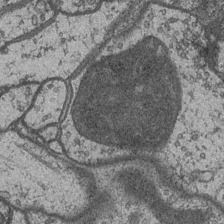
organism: Drosophila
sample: Optic medulla